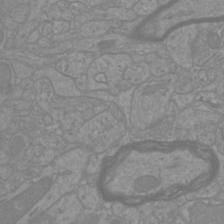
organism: Mouse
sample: Cortical neurons